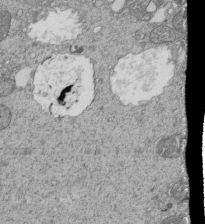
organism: Tetrahymena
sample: Cilia in tetrahymena